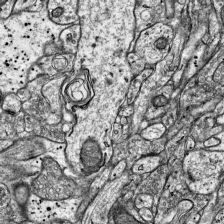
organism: Mouse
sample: Visual Cortex